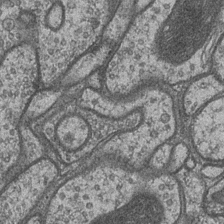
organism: Drosophila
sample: Optic medulla